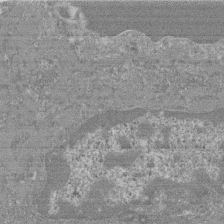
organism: Mouse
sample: Glomerulus